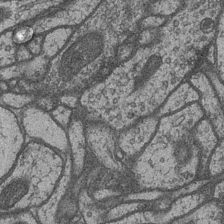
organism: Drosophila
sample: Optic medulla